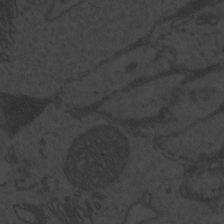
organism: Zebrafish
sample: Macrophage infected with Toxoplasma gondii